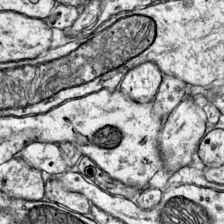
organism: Mouse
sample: Primary visual cortex